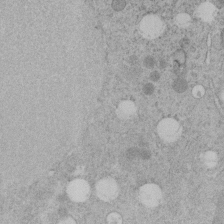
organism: C. elegans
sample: C. elegans embryo early stage